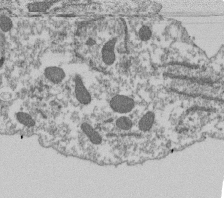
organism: Dictyostelium discoideum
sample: Dictyostelium multivesicular bodies